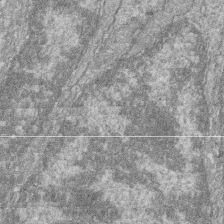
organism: Zebrafish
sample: Cilia; retinal pigment epithelium